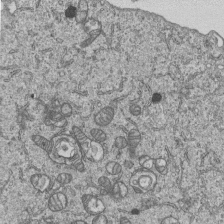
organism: Human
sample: MDA-MB-231 cells